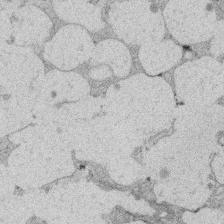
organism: Rat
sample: Salivary granule